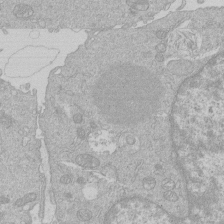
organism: Human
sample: Macrophage cells